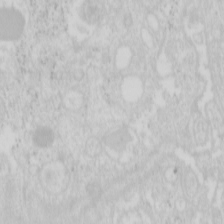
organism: Mouse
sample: Pancreas